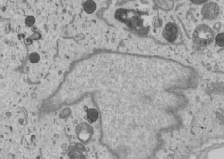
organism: Human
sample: Mitochondria in U2OS cells